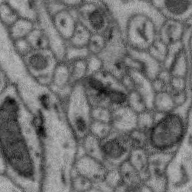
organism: Zebra finch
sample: Brain